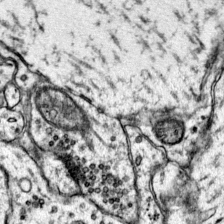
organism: Mouse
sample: Primary visual cortex